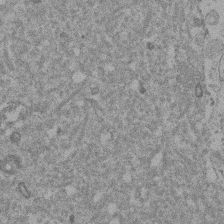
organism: Mouse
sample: Dividing mouse embryo 1 cell stage